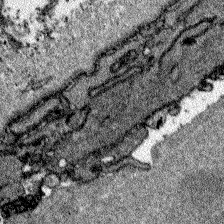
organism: Zebrafish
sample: Larval olfactory bulb